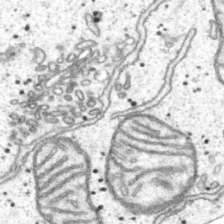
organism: Human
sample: HeLa cells